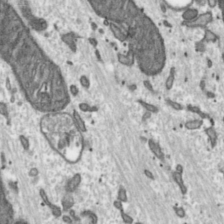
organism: Toxoplasma gondii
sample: Parasites in a vacuole inside a host cell